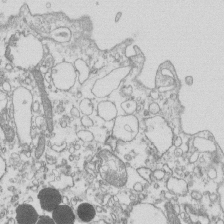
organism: Mouse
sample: Macrophages